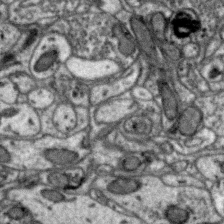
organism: Zebra finch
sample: Brain